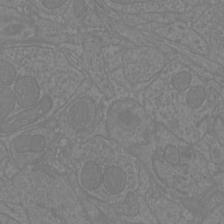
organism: Mouse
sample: Cortical neurons